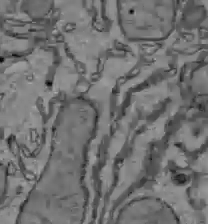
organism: C57BL Mouse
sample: Liver